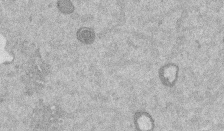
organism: Mouse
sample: Dividing mouse embryo 1 cell stage